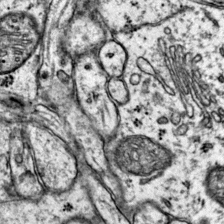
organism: Mouse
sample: Primary visual cortex